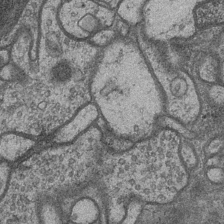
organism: Drosophila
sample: Optic medulla